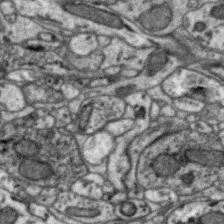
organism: Zebra finch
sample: Brain